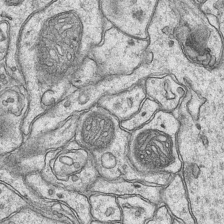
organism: Mouse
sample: CA1 Hippocampus